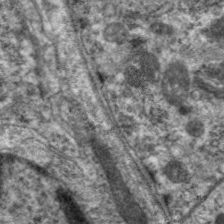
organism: C. elegans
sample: Pharynx